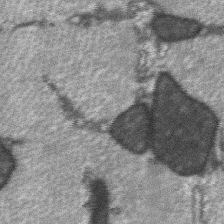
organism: C57BL Mouse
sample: Soleus